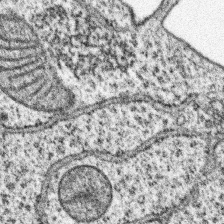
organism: Human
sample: HeLa cells